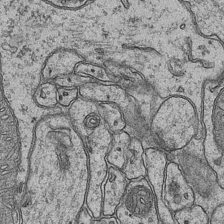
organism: Mouse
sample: CA1 Hippocampus